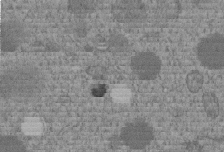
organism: C. elegans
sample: C. elegans embryo early stage